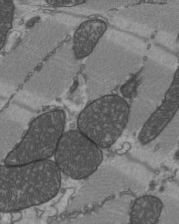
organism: C57BL Mouse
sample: Heart